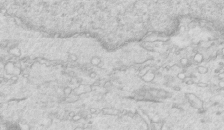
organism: Mouse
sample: Multiciliated cells